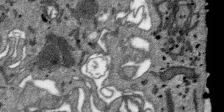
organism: Human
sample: Lung epithelial cells, uninfected (mock) control